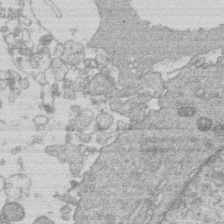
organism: Human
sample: Macrophage cells